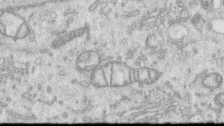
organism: Human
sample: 1205lu cells